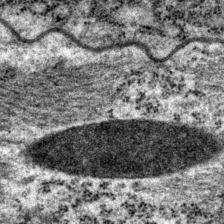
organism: P. pacificus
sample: Pharynx